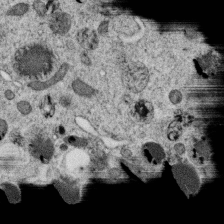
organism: C. elegans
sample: C. elegans oocyte; sperm cells